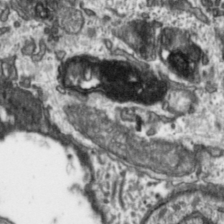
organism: Toxoplasma gondii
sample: Parasites in a vacuole inside a host cell